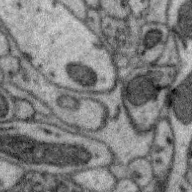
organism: Zebra finch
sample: Brain